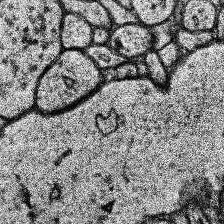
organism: Human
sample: Temporal Lobe